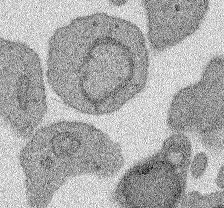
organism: Human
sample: HeLa cells